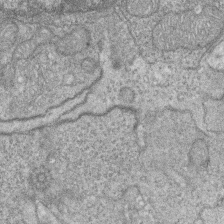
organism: Zebrafish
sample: Cilia; retinal pigment epithelium